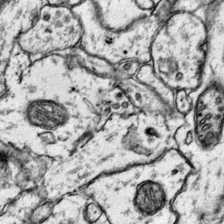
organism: Mouse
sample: Primary visual cortex